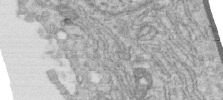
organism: Human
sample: Centriole in RPE cells